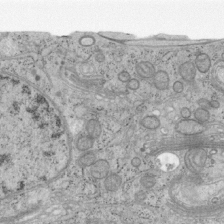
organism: Human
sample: HeLa cells